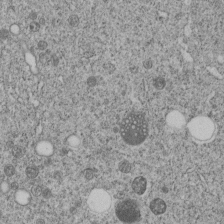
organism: C. elegans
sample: C. elegans embryo early stage